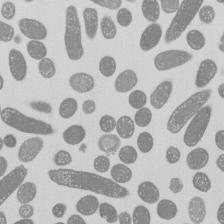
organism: E. coli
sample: Bacterial nucleoid